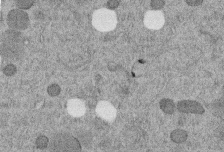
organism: C. elegans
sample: C. elegans embryo early stage